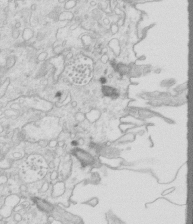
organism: Mouse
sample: Multiciliated cells